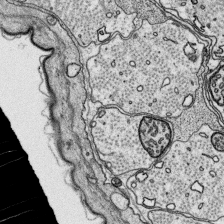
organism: Platynereis dumerilii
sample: Parapodia